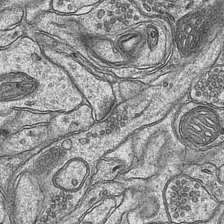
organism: Mouse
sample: CA1 Hippocampus